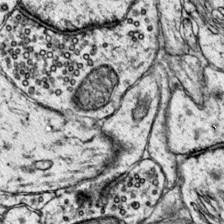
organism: Mouse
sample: Primary visual cortex